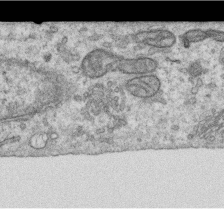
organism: Human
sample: Centriole in RPE cells